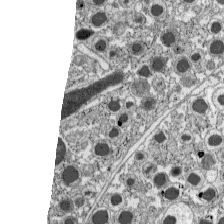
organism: C57BL Mouse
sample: Pancreatic islet